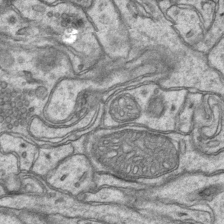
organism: Mouse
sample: CA1 Hippocampus